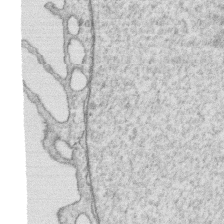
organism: Human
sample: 1205lu cells